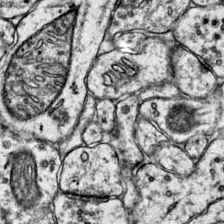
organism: Mouse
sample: Primary visual cortex